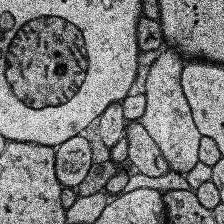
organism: Human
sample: Temporal Lobe